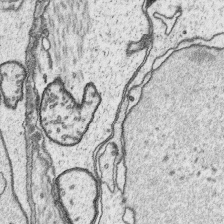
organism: Platynereis dumerilii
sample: Parapodia